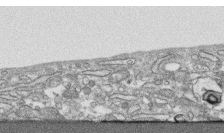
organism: Human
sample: CRL-1474